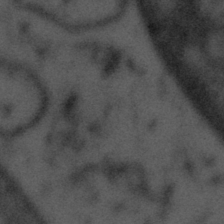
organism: Tuwongella immobilis